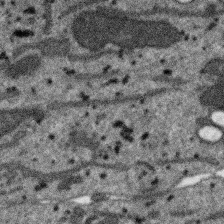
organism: Human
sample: Lung epithelial cells infected with SARS-CoV-2